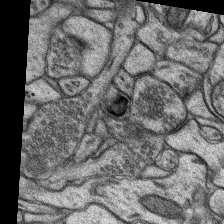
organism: Rat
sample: Hippocampus